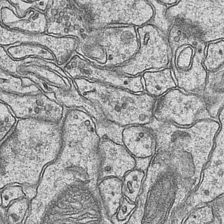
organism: Mouse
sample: CA1 Hippocampus